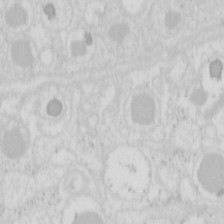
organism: Mouse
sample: Pancreas